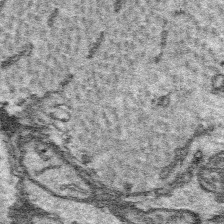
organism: Platynereis dumerilii